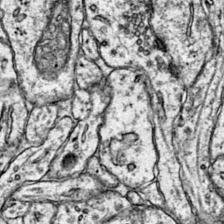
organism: Mouse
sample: Primary visual cortex